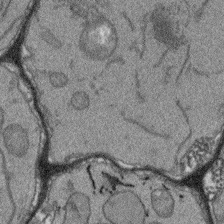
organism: Arabidopsis thaliana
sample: Root tip